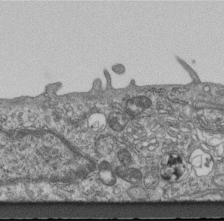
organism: Mouse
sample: Centriole in ependymal cells